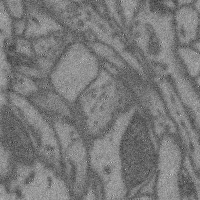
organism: Mouse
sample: Cerebral cortex